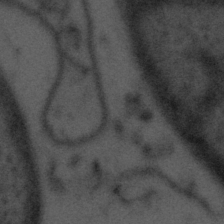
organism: Tuwongella immobilis